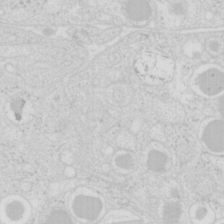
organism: Mouse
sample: Pancreas